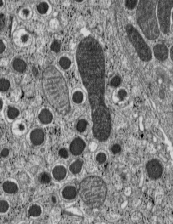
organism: C57BL Mouse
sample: Pancreatic islet